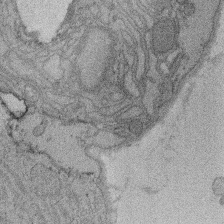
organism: Rat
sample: Salivary granule